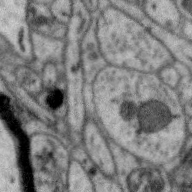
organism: Zebra finch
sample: Brain